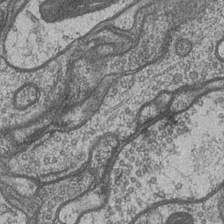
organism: Drosophila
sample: Optic medulla